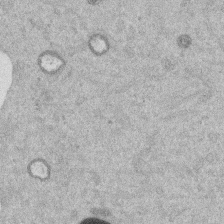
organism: Mouse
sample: Dividing mouse embryo 1 cell stage